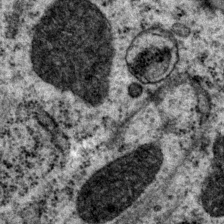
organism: P. pacificus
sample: Pharynx